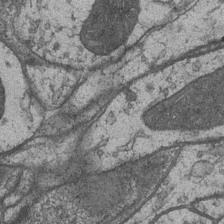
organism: Drosophila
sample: Optic medulla